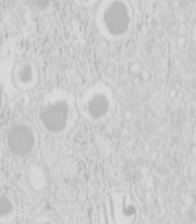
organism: Mouse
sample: Pancreas